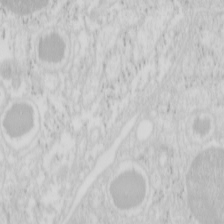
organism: Mouse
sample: Pancreas